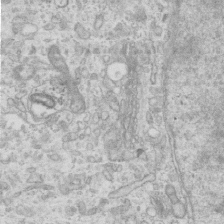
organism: Mouse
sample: Centriole in ependymal cells